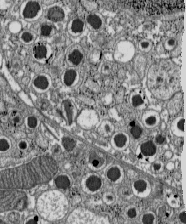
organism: C57BL Mouse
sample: Pancreatic islet